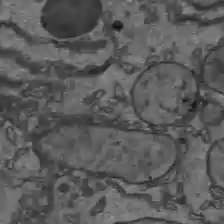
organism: C57BL Mouse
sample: Liver